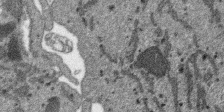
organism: Human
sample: Lung epithelial cells infected with SARS-CoV-2